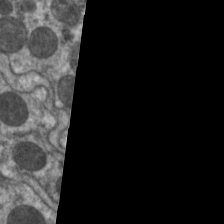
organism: C. elegans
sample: Pharynx